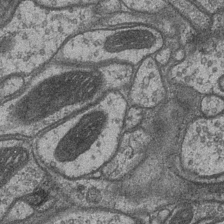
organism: Drosophila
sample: Optic medulla